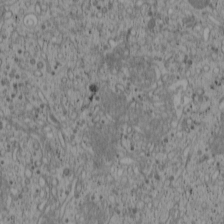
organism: African green monkey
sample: COS-7 cells